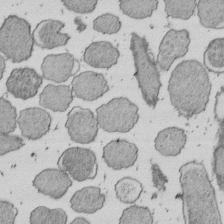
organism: E. coli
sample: Bacterial nucleoid